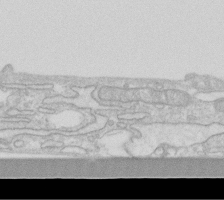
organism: Human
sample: Fibroblast cells